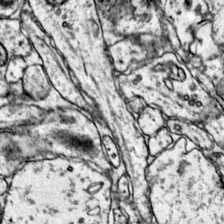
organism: Mouse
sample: Primary visual cortex